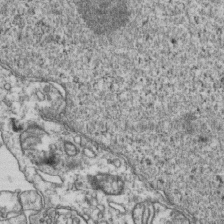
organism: Human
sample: Activated Jurkat CD4+ T cells